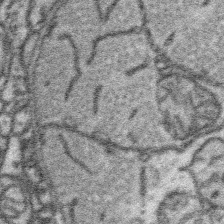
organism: Platynereis dumerilii